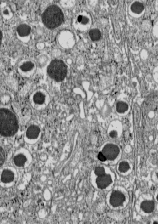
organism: C57BL Mouse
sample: Pancreatic islet